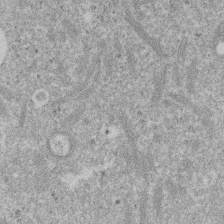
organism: Mouse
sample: Dividing mouse embryo 1 cell stage